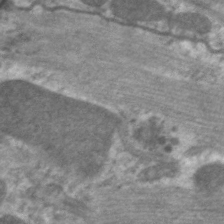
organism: C. elegans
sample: Pharynx